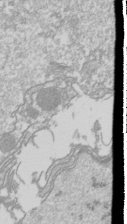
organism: Drosophila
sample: Cell division; meiosis; drosophila spermatocytes